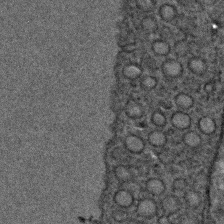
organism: C. elegans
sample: C. elegans embryo